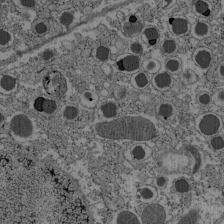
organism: C57BL Mouse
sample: Pancreatic islet